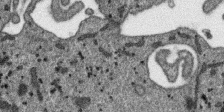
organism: Human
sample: Lung epithelial cells infected with SARS-CoV-2